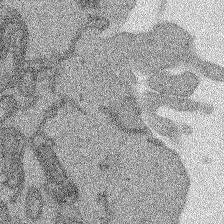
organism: Human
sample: HeLa cells